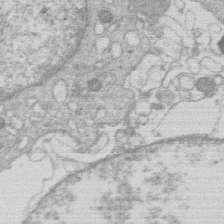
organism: Human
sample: Macrophage cells